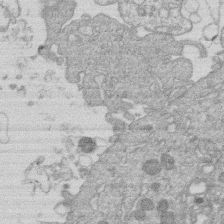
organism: Human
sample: Macrophage cells